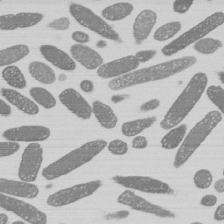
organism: E. coli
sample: Bacterial nucleoid